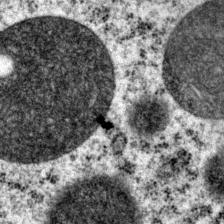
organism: P. pacificus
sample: Pharynx